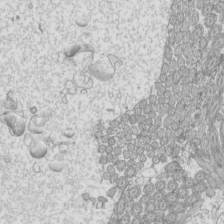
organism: Mouse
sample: Cilia; mouse epididymis